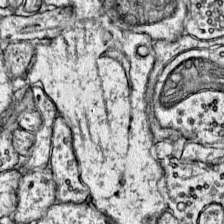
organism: Mouse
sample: Primary visual cortex